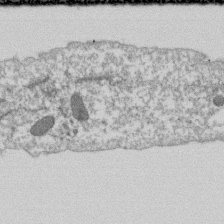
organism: Dictyostelium discoideum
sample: Dictyostelium multivesicular bodies